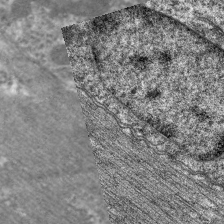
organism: C. elegans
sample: Pharynx